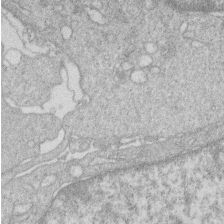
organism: Human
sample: Macrophage cells